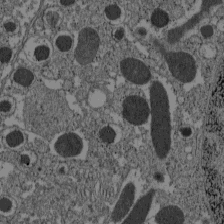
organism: C57BL Mouse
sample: Pancreatic islet